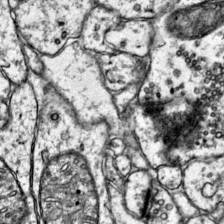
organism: Mouse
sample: Primary visual cortex